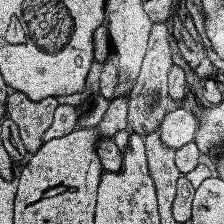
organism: Human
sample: Temporal Lobe